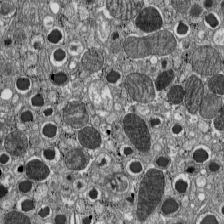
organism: C57BL Mouse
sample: Pancreatic islet